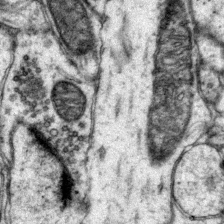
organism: Mouse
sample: Primary visual cortex